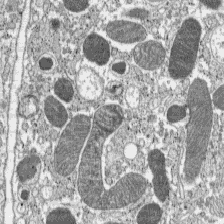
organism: C57BL Mouse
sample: Pancreatic islet